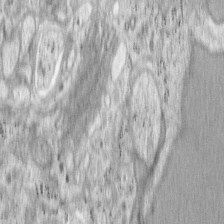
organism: Human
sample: HeLa cells